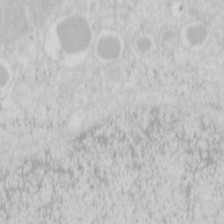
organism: Mouse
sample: Pancreas